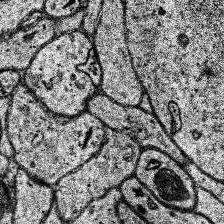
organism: Human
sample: Temporal Lobe